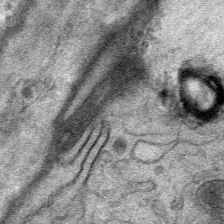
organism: Mouse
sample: Mouse Salivary gland